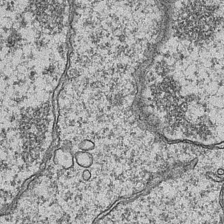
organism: Mouse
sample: CA1 Hippocampus